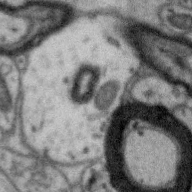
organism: Zebra finch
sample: Brain